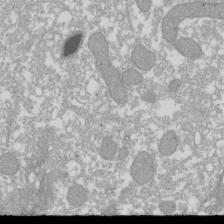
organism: Xenopus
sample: Cilia; centrioles in frog embryo cells